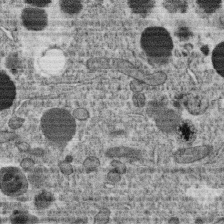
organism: C. elegans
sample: C. elegans oocyte; sperm cells